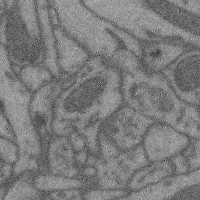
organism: Mouse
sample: Cerebral cortex